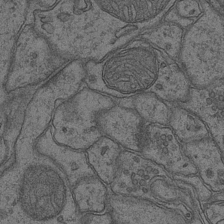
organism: Mouse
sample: CA1 Hippocampus